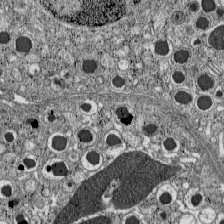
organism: C57BL Mouse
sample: Pancreatic islet